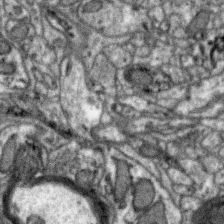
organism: Zebra finch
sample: Brain